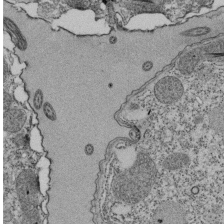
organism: Tetrahymena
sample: Cilia in tetrahymena